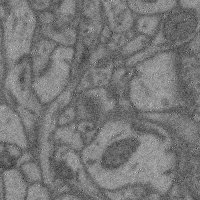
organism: Mouse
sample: Cerebral cortex